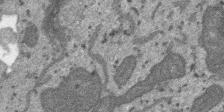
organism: Human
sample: Lung epithelial cells infected with SARS-CoV-2